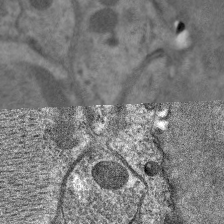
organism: C. elegans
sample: Pharynx